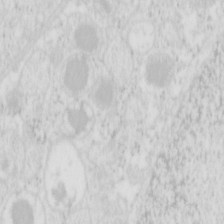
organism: Mouse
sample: Pancreas